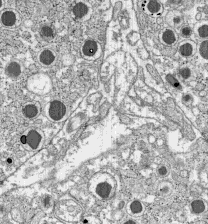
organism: C57BL Mouse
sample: Pancreatic islet